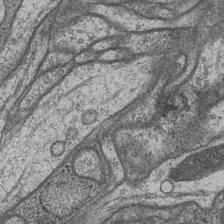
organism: Drosophila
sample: Optic medulla